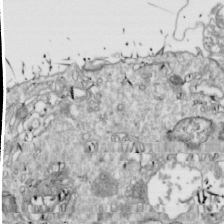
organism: Drosophila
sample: Cell division; meiosis; drosophila spermatocytes